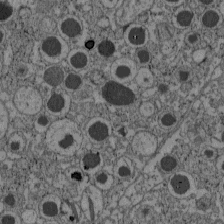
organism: C57BL Mouse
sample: Pancreatic islet